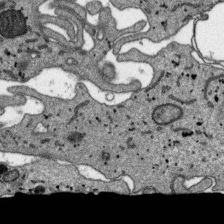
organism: Human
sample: Lung epithelial cells, uninfected (mock) control